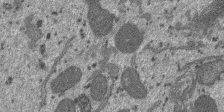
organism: Human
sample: Lung epithelial cells infected with SARS-CoV-2